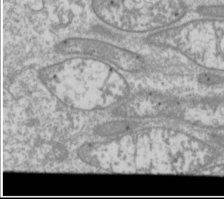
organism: Drosophila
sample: Cell division; meiosis; drosophila spermatocytes